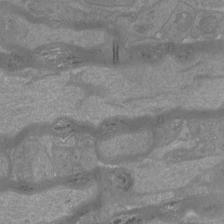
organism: Mouse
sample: Cortical neurons